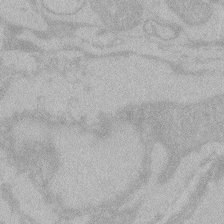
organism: Zebrafish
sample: Macrophage infected with Toxoplasma gondii